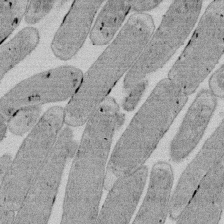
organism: E. coli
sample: Bacterial nucleoid